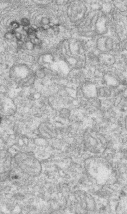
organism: Human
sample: HeLa cell HIV synapse